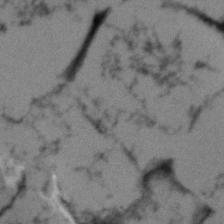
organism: Human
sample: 1205lu cells